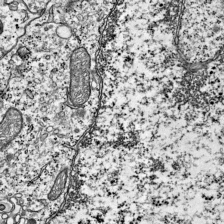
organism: Mouse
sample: Visual Cortex